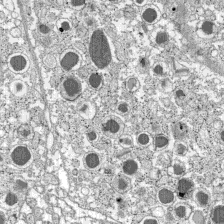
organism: C57BL Mouse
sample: Pancreatic islet